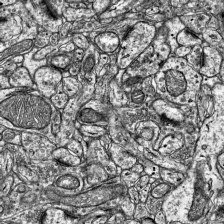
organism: Mouse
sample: Visual Cortex